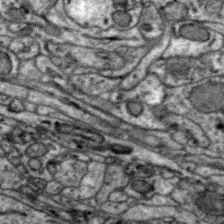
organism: Zebra finch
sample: Brain